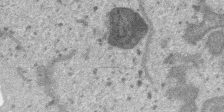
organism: Human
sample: Lung epithelial cells infected with SARS-CoV-2